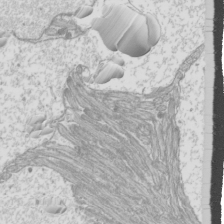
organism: Mouse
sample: Cilia; mouse epididymis